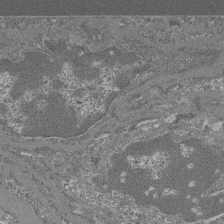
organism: Mouse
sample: Glomerulus